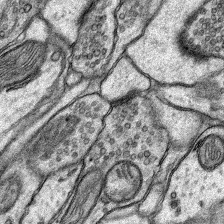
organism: Rat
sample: Hippocampus